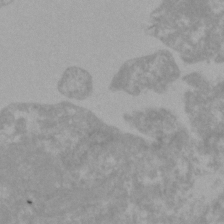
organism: Zebrafish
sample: Zebrafish embryo